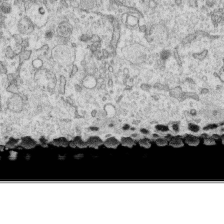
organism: Human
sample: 1205lu cells